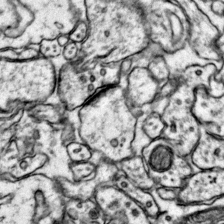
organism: Mouse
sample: Primary visual cortex